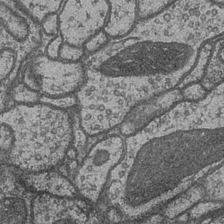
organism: Drosophila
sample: Optic medulla